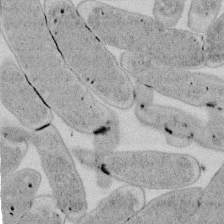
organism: E. coli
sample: Bacterial nucleoid